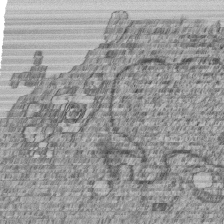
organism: Human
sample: MDA-MB-231 cells